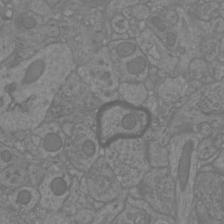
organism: Mouse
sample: Cortical neurons